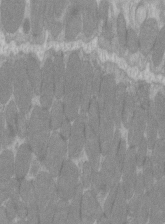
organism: C57BL Mouse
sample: Tibialis anterior muscle cell